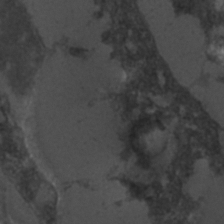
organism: C. elegans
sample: C. elegans embryo